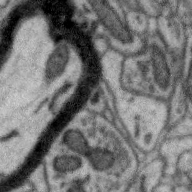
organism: Zebra finch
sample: Brain